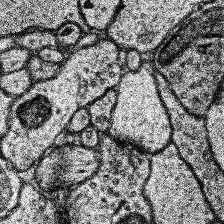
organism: Human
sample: Temporal Lobe